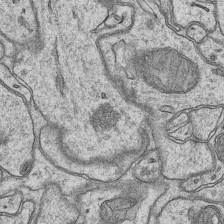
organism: Mouse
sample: CA1 Hippocampus